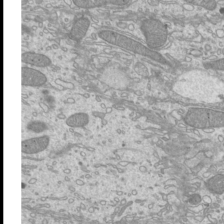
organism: Mouse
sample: Cilia; mouse epididymis